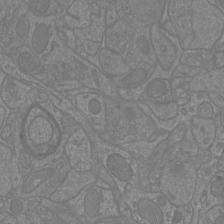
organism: Mouse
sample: Cortical neurons